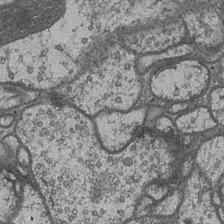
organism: Drosophila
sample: Optic medulla